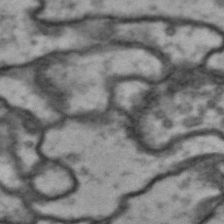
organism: Drosophila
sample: Brain